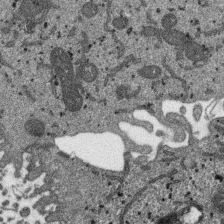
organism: Human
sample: Lung epithelial cells infected with SARS-CoV-2